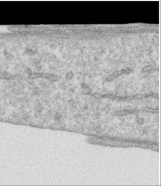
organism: Human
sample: Centriole in RPE cells